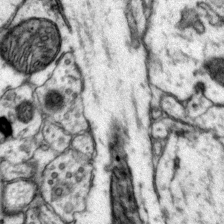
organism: Mouse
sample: Primary visual cortex